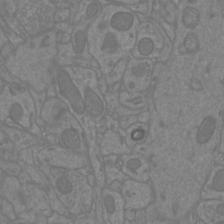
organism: Mouse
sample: Cortical neurons